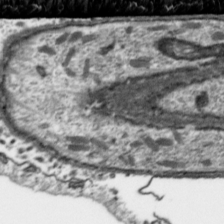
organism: Toxoplasma gondii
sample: Parasites in a vacuole inside a host cell